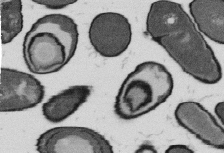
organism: B. subtilis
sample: Bacterial spore